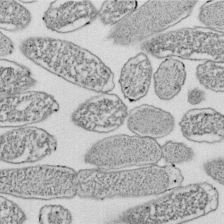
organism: E. coli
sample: Bacterial nucleoid